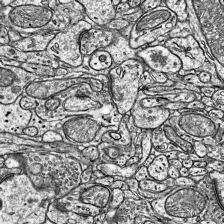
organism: Mouse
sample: Visual Cortex